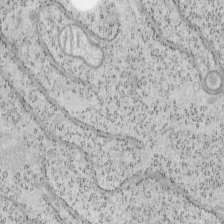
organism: Mouse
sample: OT-I killer T cells with ID8 ovarian cancer cells